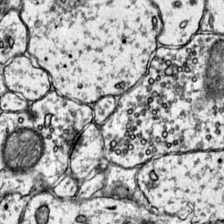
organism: Mouse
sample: Primary visual cortex